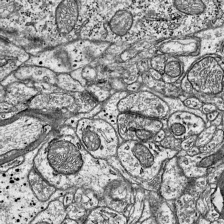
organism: Mouse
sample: Visual Cortex